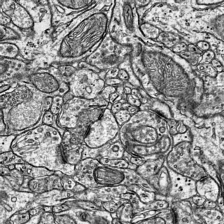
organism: Mouse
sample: Visual Cortex